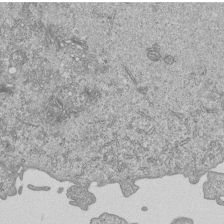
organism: Human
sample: MDA-MB-231 cells